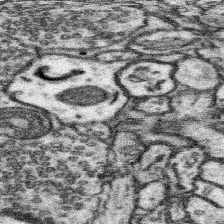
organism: Mouse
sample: Somatosensory cortex neuropil